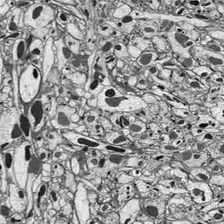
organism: Drosophila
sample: Optic lobe